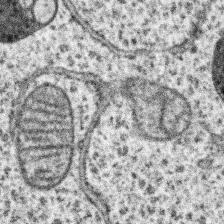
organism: Human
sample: HeLa cells